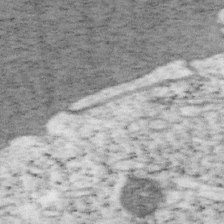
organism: Mouse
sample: OT-I killer T cells with ID8 ovarian cancer cells